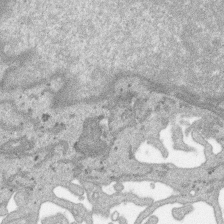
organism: Human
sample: Lung epithelial cells infected with SARS-CoV-2